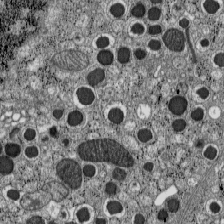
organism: C57BL Mouse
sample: Pancreatic islet